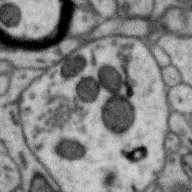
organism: Zebra finch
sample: Brain